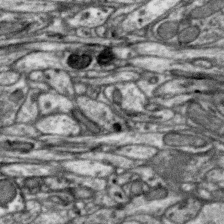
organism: Zebra finch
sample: Brain